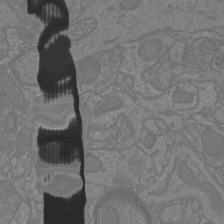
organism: Mouse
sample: Cortical neurons